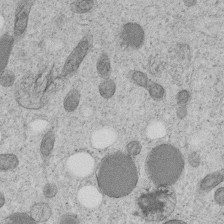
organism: C. elegans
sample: C. elegans embryo early stage